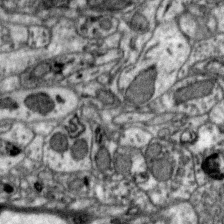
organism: Zebra finch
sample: Brain